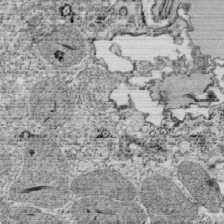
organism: Tetrahymena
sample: Cilia in tetrahymena